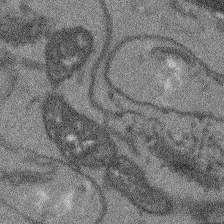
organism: Arabidopsis thaliana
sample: Root tip